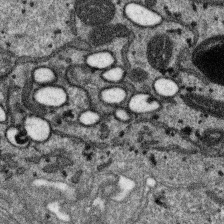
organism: Human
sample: Lung epithelial cells infected with SARS-CoV-2